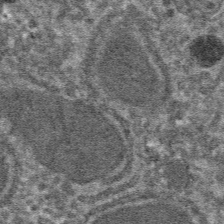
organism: Mouse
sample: Mouse hepatocytes